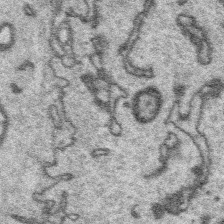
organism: Platynereis dumerilii